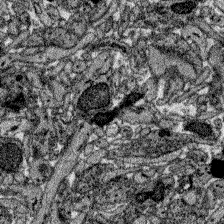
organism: Zebrafish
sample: Larval olfactory bulb